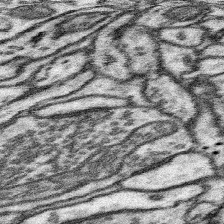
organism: Mouse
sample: Somatosensory cortex neuropil